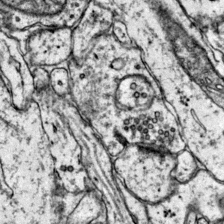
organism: Mouse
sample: Primary visual cortex